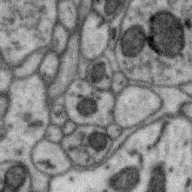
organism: Zebra finch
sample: Brain